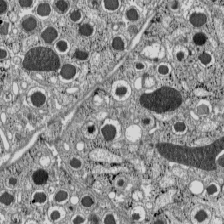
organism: C57BL Mouse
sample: Pancreatic islet